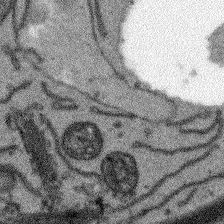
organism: Arabidopsis thaliana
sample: Root tip